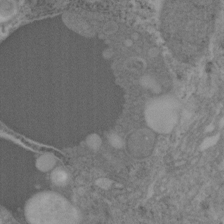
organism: Mouse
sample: OT-I killer T cells with ID8 ovarian cancer cells